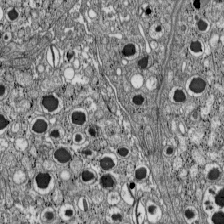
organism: C57BL Mouse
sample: Pancreatic islet